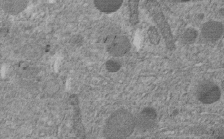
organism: C. elegans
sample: C. elegans embryo early stage